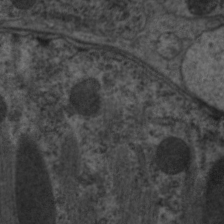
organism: C. elegans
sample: Pharynx